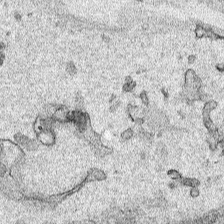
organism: Human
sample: Mitochondria in HCT116 cells